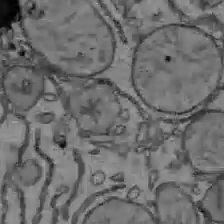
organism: C57BL Mouse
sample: Liver